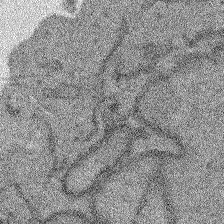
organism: Human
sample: HeLa cells